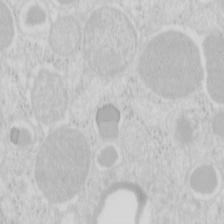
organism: Mouse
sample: Pancreas